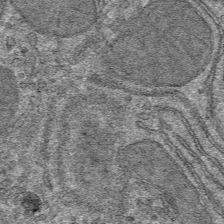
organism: Mouse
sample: Mouse hepatocytes